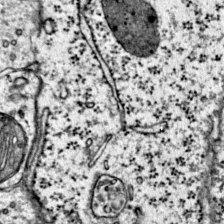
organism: Mouse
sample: Primary visual cortex